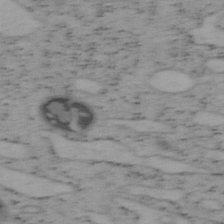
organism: Mouse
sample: OT-I killer T cells with ID8 ovarian cancer cells